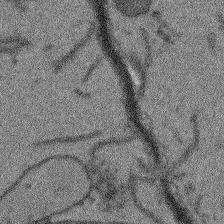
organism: Arabidopsis thaliana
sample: Root tip